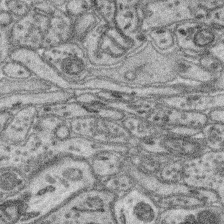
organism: Mouse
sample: Retina